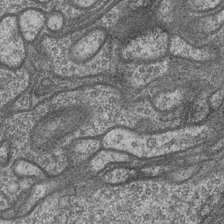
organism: Drosophila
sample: Optic medulla